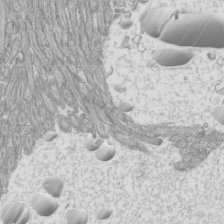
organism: Mouse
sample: Cilia; mouse epididymis